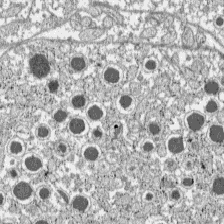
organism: C57BL Mouse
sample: Pancreatic islet